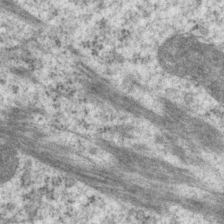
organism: P. pacificus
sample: Pharynx